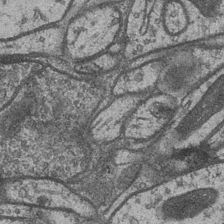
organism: Drosophila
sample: Optic medulla